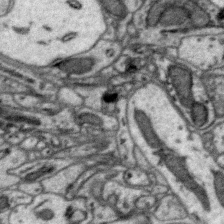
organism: Zebra finch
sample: Brain